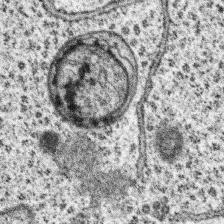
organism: Human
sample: HeLa cells